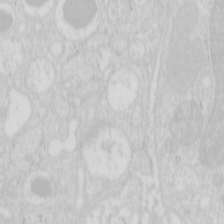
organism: Mouse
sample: Pancreas